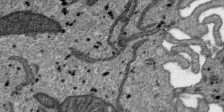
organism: Human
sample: Lung epithelial cells, uninfected (mock) control